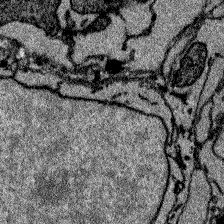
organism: Zebrafish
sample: Larval olfactory bulb